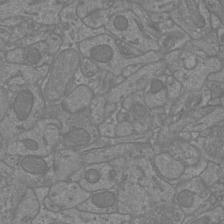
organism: Mouse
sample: Cortical neurons